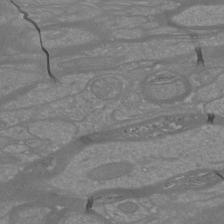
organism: Mouse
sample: Cortical neurons